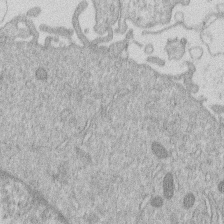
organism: Human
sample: Macrophage cells